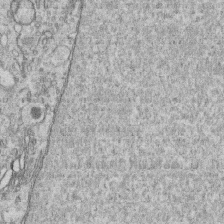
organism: Human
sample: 1205lu cells